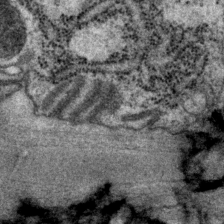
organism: P. pacificus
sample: Pharynx